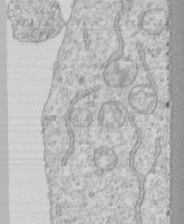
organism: Human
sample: CRL-1474